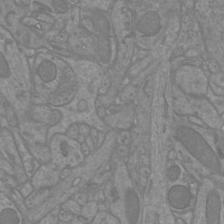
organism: Mouse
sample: Cortical neurons